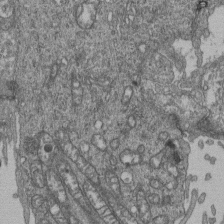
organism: Human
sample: Retinal organoid Rod and Cone cells